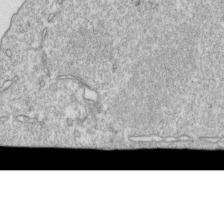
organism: Mouse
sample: Activated OT-1 CD8+ T cells